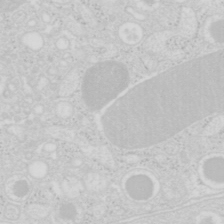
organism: Mouse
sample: Pancreas